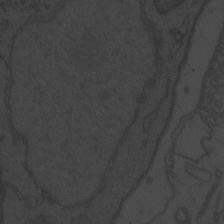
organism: Zebrafish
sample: Macrophage infected with Toxoplasma gondii